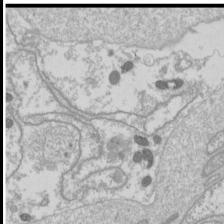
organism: Drosophila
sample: Cell division; meiosis; drosophila spermatocytes